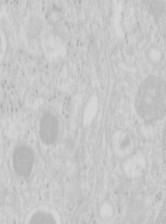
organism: Mouse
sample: Pancreas